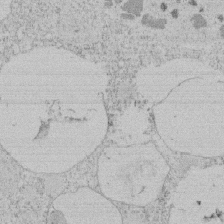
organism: Tetrahymena